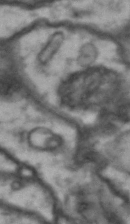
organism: Drosophila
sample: Brain